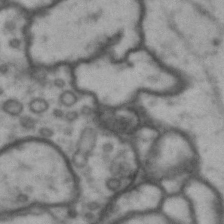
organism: Drosophila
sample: Brain